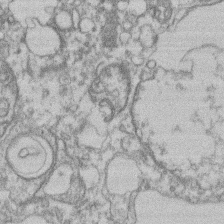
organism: Mouse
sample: T cell stromal cell synapse